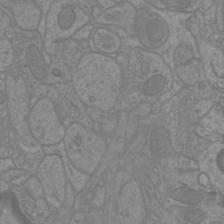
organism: Mouse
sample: Cortical neurons